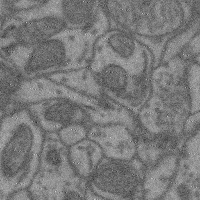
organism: Mouse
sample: Cerebral cortex